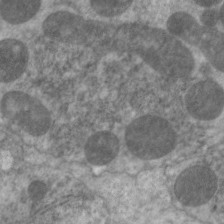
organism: C. elegans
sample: Pharynx